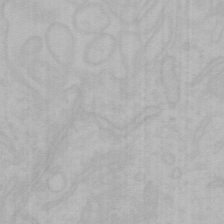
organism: Mouse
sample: Choroid plexus